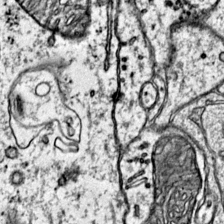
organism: Mouse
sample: Primary visual cortex